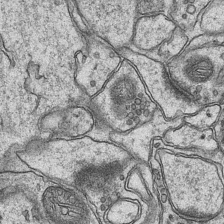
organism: Mouse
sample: CA1 Hippocampus